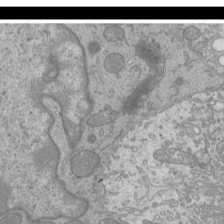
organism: Mouse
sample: Cilia; mouse epididymis